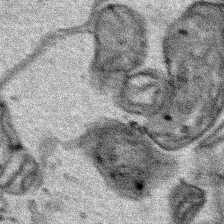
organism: Human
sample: Mitochondria in HCT116 cells